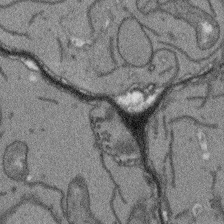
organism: Arabidopsis thaliana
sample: Root tip